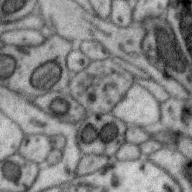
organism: Zebra finch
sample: Brain